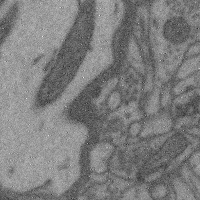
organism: Mouse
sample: Cerebral cortex